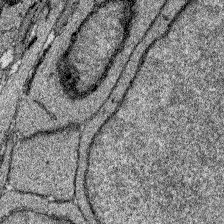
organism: Zebrafish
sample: Larval olfactory bulb